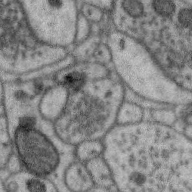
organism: Zebra finch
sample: Brain